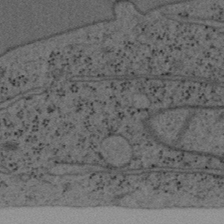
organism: Human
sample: HeLa cells